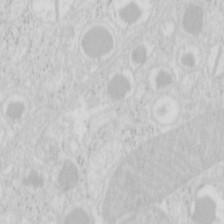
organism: Mouse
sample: Pancreas